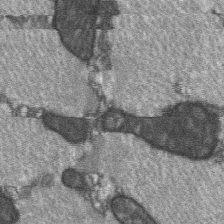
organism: C57BL Mouse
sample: Soleus